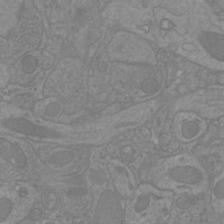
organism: Mouse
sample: Cortical neurons